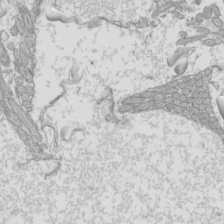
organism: Mouse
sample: Cilia; mouse epididymis